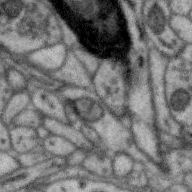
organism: Zebra finch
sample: Brain